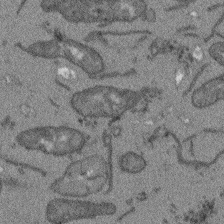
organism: Arabidopsis thaliana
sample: Root tip